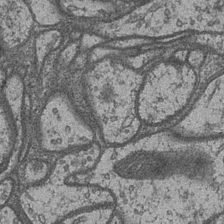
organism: Drosophila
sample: Optic medulla